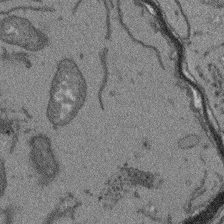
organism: Arabidopsis thaliana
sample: Root tip